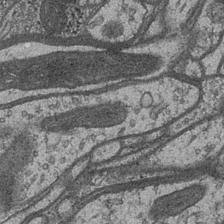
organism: Drosophila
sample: Optic medulla